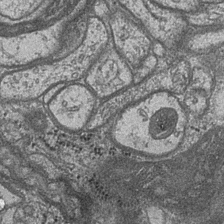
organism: Drosophila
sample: Optic medulla